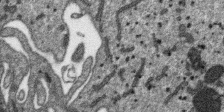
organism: Human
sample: Lung epithelial cells infected with SARS-CoV-2